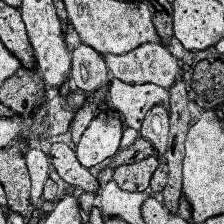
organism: Human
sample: Temporal Lobe